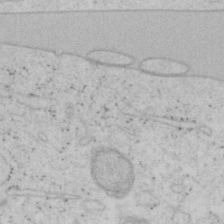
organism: Human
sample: HeLa cells